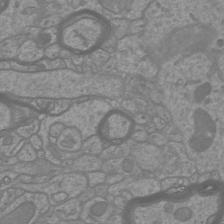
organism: Mouse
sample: Cortical neurons